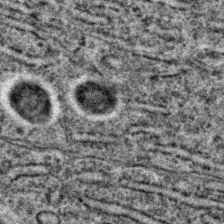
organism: C. elegans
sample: C. elegans embryo